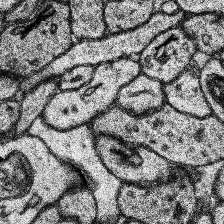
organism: Human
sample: Temporal Lobe